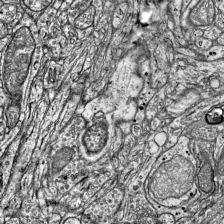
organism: Mouse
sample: Visual Cortex